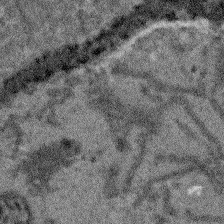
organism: Arabidopsis thaliana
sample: Root tip